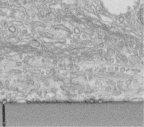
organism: Human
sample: Centriole in fibroblast cells